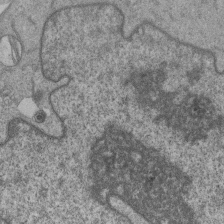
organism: Human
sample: MDA-MB-231 cells